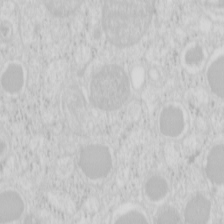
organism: Mouse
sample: Pancreas